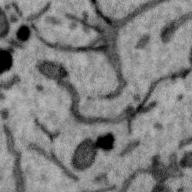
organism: Zebra finch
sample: Brain